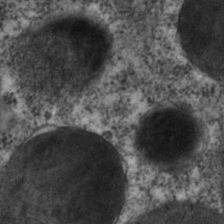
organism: C. elegans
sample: C. elegans embryo